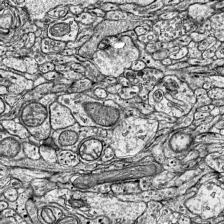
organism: Mouse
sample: Visual Cortex